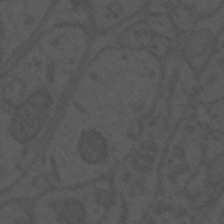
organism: Mouse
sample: Suprachiasmatic nucleus